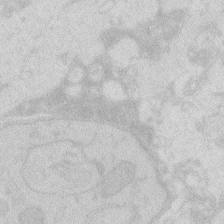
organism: Zebrafish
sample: Macrophage